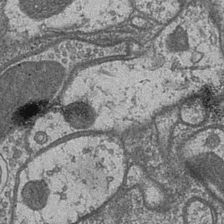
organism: Drosophila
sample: Optic medulla